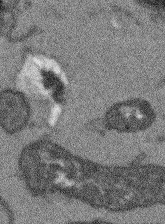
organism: Arabidopsis thaliana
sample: Root tip